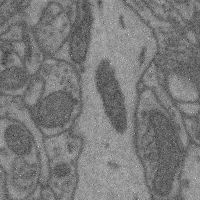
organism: Mouse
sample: Cerebral cortex